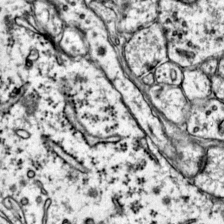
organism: Mouse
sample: Primary visual cortex